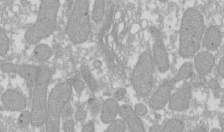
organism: Xenopus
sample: Cilia; centrioles in frog embryo cells